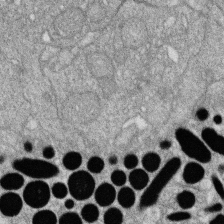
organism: Zebrafish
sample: Cilia; retinal pigment epithelium